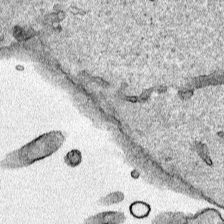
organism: Human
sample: Mitochondria in HCT116 cells